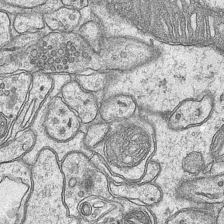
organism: Mouse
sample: CA1 Hippocampus